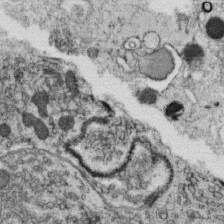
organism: C. elegans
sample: C. elegans oocyte; sperm cells